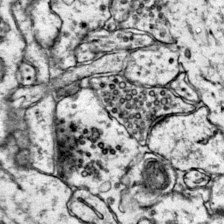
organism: Mouse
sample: Primary visual cortex